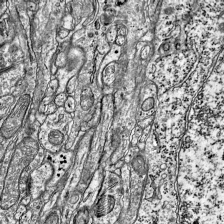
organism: Mouse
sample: Visual Cortex